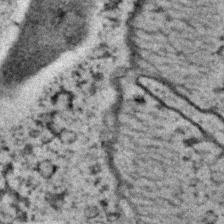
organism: C. elegans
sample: C. elegans embryo